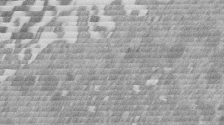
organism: Mouse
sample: Dividing mouse embryo 1 cell stage